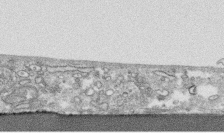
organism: Human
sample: CRL-1474